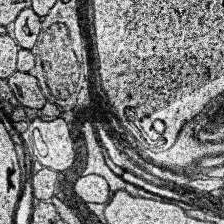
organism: Human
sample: Temporal Lobe